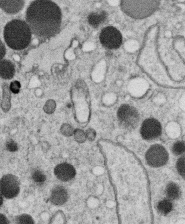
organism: C. elegans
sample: C. elegans oocyte; sperm cells